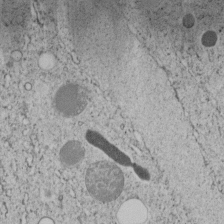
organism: C. elegans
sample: C. elegans embryo early stage